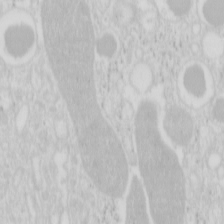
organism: Mouse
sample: Pancreas